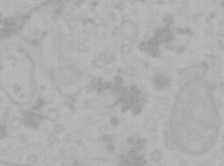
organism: Mouse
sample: Choroid plexus